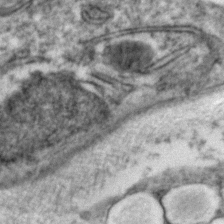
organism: Zebrafish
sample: Zebrafish embryo